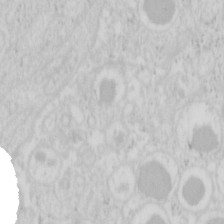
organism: Mouse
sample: Pancreas